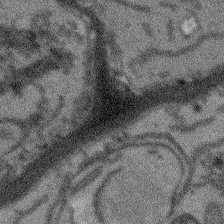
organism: Arabidopsis thaliana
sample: Root tip